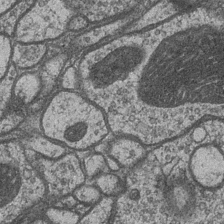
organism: Drosophila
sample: Optic medulla